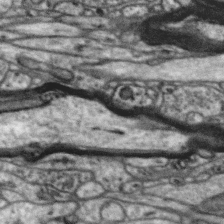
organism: Zebra finch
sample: Brain